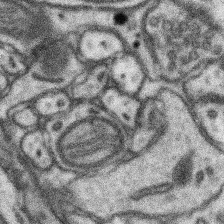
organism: Mouse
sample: Somatosensory cortex neuropil